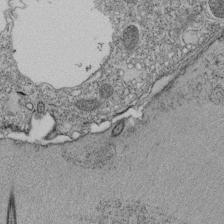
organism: Tetrahymena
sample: Cilia in tetrahymena